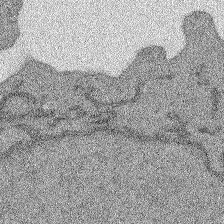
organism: Human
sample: HeLa cells